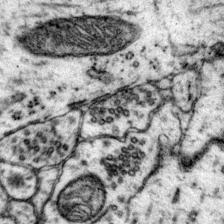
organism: Mouse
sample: Primary visual cortex